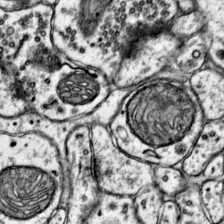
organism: Mouse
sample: Primary visual cortex